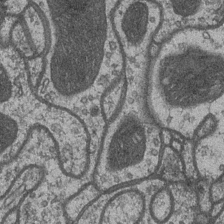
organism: Drosophila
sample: Optic medulla